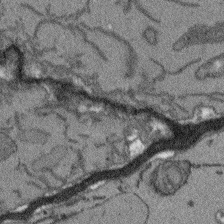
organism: Arabidopsis thaliana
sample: Root tip